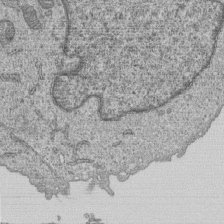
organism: Human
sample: MDA-MB-231 cells